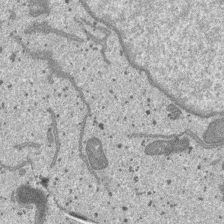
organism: Human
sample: Lung epithelial cells infected with SARS-CoV-2